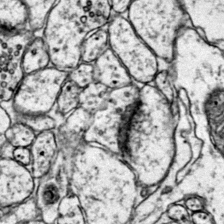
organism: Mouse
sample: Primary visual cortex